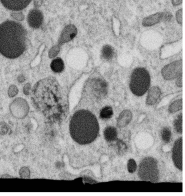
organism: C. elegans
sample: C. elegans oocyte; sperm cells